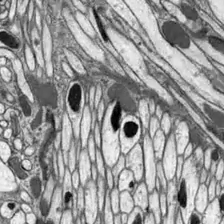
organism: Drosophila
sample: Optic lobe